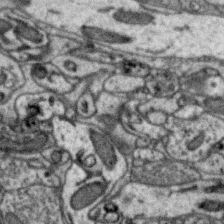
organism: Zebra finch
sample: Brain